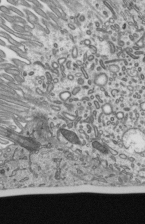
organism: Mouse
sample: Mouse epididymis efferent ductule cilia